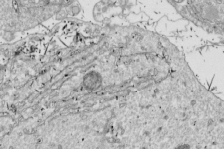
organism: Drosophila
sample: Cell division; meiosis; drosophila spermatocytes